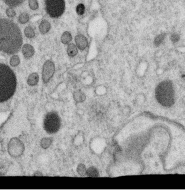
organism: C. elegans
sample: C. elegans oocyte; sperm cells